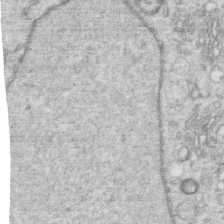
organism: Human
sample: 1205lu cells